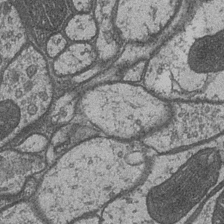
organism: Drosophila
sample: Optic medulla